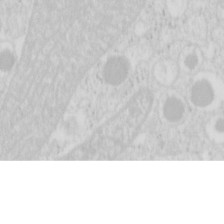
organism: Mouse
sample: Pancreas